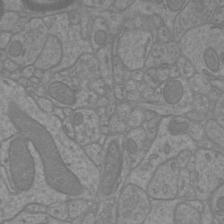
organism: Mouse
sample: Cortical neurons